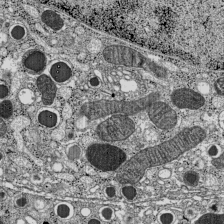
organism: C57BL Mouse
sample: Pancreatic islet